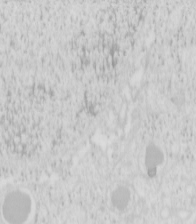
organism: Mouse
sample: Pancreas